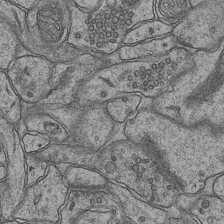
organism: Mouse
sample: CA1 Hippocampus